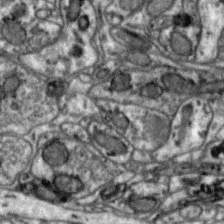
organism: Zebra finch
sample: Brain